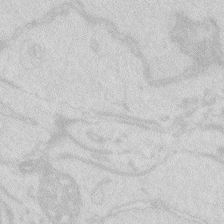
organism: Zebrafish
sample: Macrophage